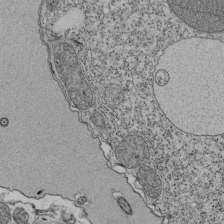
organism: Tetrahymena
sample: Cilia in tetrahymena